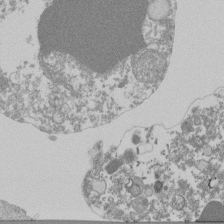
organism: Mouse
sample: Activated Pmel transgenic CD8+ T Cells